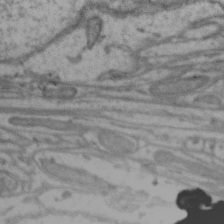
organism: Zebra finch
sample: Brain